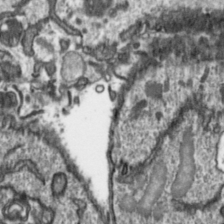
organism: Toxoplasma gondii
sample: Parasites in a vacuole inside a host cell